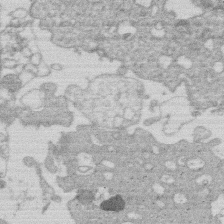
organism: Human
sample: Macrophage cells